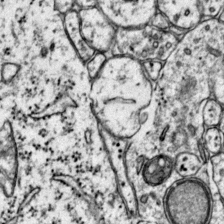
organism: Mouse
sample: Primary visual cortex